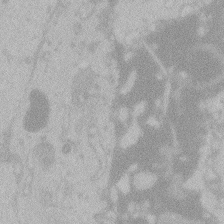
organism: Zebrafish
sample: Macrophage infected with Toxoplasma gondii